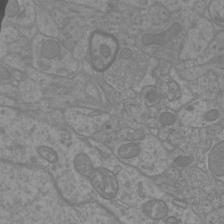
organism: Mouse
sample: Cortical neurons